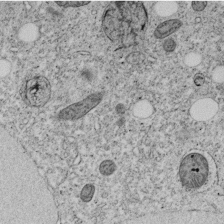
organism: C. elegans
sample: C. elegans embryo early stage